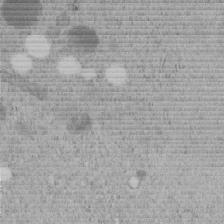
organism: C. elegans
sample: C. elegans embryo early stage